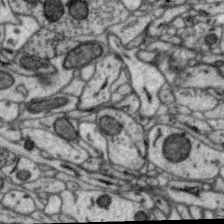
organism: Zebra finch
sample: Brain